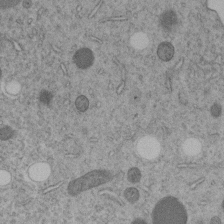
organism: C. elegans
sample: C. elegans embryo early stage